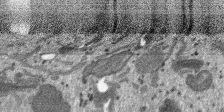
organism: Human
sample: Lung epithelial cells infected with SARS-CoV-2